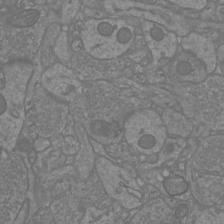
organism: Mouse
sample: Cortical neurons